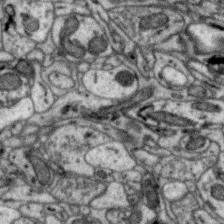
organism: Zebra finch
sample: Brain